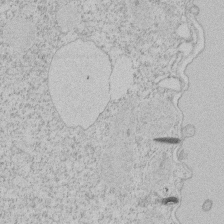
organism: Tetrahymena